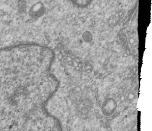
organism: Human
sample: MDA-MB-231 cells